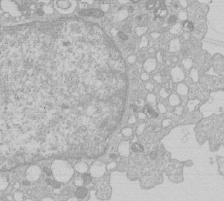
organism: Human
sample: Macrophage cells